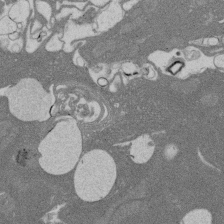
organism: Rat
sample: Salivary granule